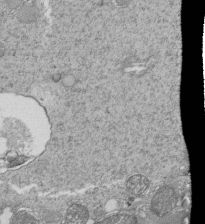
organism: Tetrahymena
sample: Cilia in tetrahymena